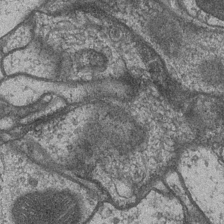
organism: Drosophila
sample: Optic medulla